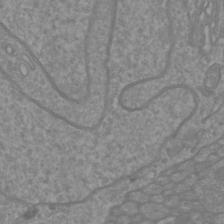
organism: Mouse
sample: Cortical neurons